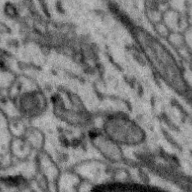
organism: Zebra finch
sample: Brain